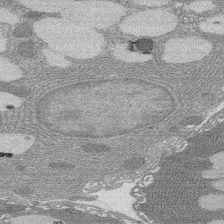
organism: Rat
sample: Salivary granule